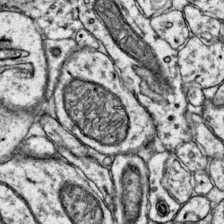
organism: Mouse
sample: Primary visual cortex